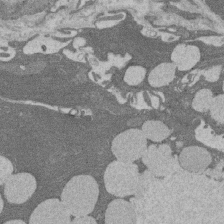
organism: Rat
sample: Salivary granule